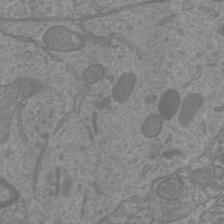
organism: Mouse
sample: Cortical neurons